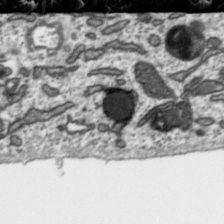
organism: Toxoplasma gondii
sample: Parasites in a vacuole inside a host cell